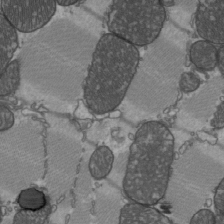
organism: C57BL Mouse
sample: Heart